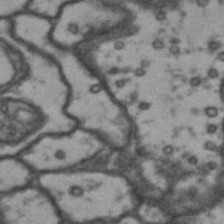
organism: Drosophila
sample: Brain